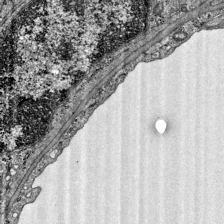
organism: Mouse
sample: Visual Cortex